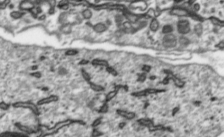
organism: Toxoplasma gondii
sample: Parasites in a vacuole inside a host cell